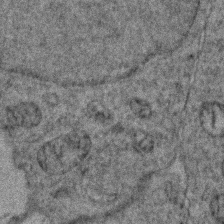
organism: Zebrafish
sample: Zebrafish embryo